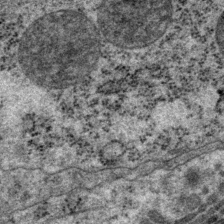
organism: P. pacificus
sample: Pharynx